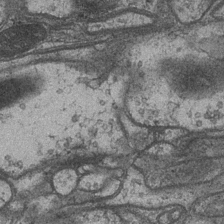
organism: Drosophila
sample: Optic medulla